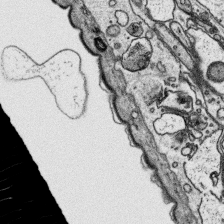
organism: Platynereis dumerilii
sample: Parapodia